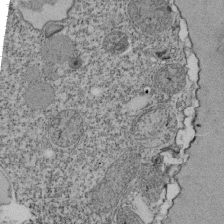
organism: Tetrahymena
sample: Cilia in tetrahymena